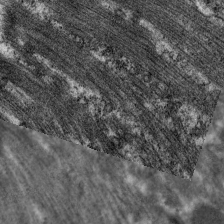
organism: C. elegans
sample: Pharynx